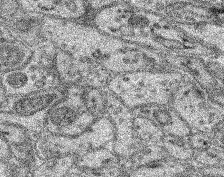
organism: Mouse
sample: Retina